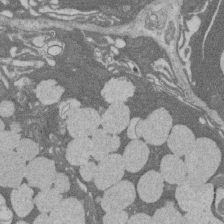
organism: Rat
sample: Salivary granule